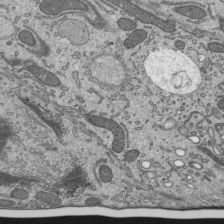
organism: Mouse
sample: Mouse epididymis efferent ductule cilia